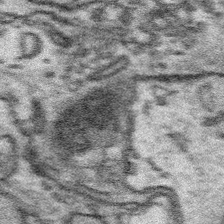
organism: Platynereis dumerilii